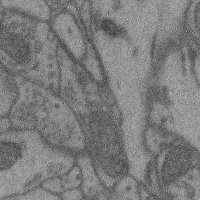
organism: Mouse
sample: Cerebral cortex